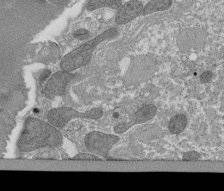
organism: Tetrahymena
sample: Cilia in tetrahymena